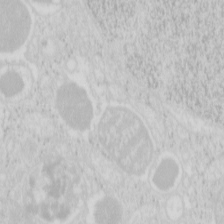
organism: Mouse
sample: Pancreas